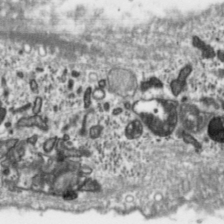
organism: Toxoplasma gondii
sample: Parasites in a vacuole inside a host cell